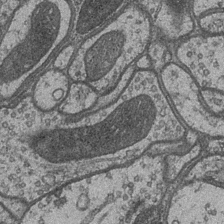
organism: Drosophila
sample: Optic medulla